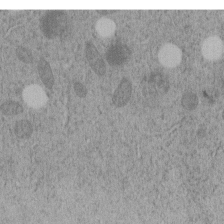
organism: C. elegans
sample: C. elegans embryo early stage